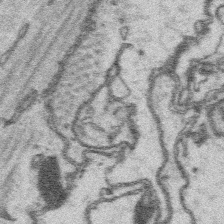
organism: Platynereis dumerilii